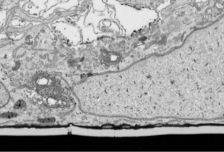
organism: Human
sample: Mitochondria in HCT116 cells